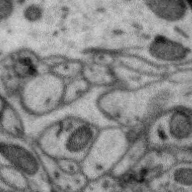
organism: Zebra finch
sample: Brain